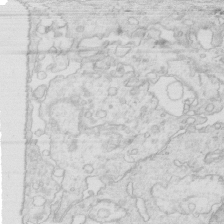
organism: Mouse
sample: Multiciliated cells